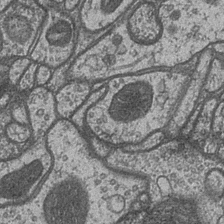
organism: Drosophila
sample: Optic medulla